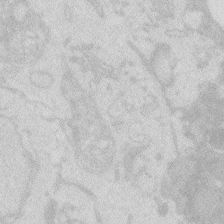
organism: Zebrafish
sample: Macrophage